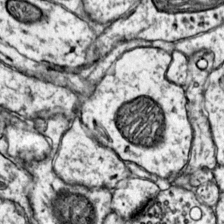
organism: Mouse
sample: Primary visual cortex